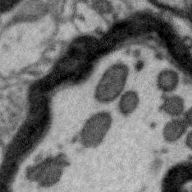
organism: Zebra finch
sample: Brain